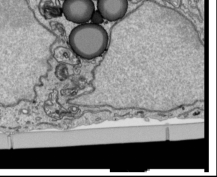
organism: Human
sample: Mitochondria in HCT116 cells